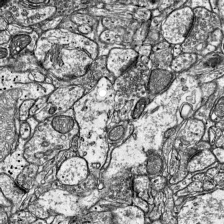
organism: Mouse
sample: Visual Cortex